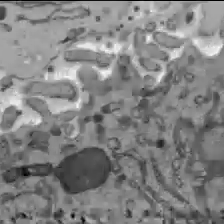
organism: C57BL Mouse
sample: Liver